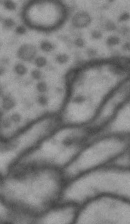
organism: Drosophila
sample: Brain